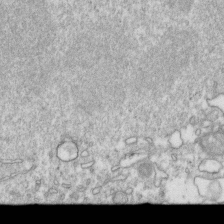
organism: Mouse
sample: Activated OT-1 CD8+ T cells